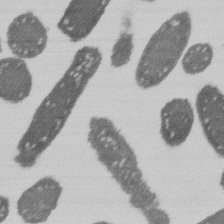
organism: E. coli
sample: Bacterial nucleoid